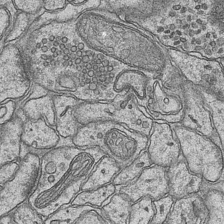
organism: Mouse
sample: CA1 Hippocampus